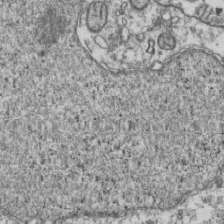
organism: Human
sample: Activated Jurkat CD4+ T cells